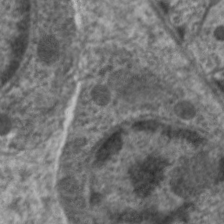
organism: C. elegans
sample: Pharynx